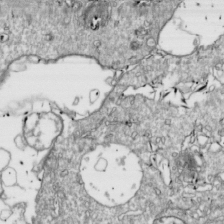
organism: Drosophila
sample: Cell division; meiosis; drosophila spermatocytes